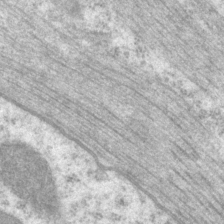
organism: P. pacificus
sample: Pharynx